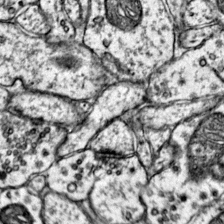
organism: Mouse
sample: Primary visual cortex